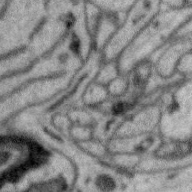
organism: Zebra finch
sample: Brain